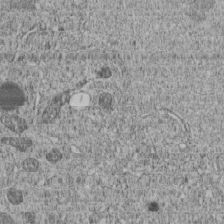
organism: C. elegans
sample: C. elegans embryo early stage